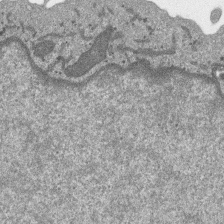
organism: Human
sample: Lung epithelial cells infected with SARS-CoV-2